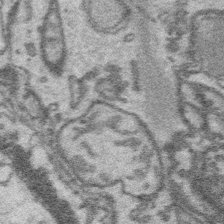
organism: Platynereis dumerilii